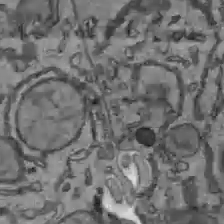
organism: C57BL Mouse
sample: Liver